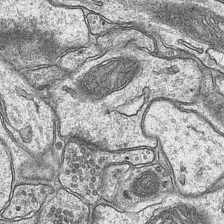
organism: Mouse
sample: CA1 Hippocampus